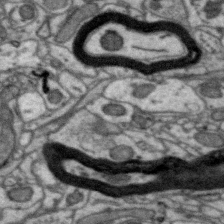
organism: Zebra finch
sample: Brain